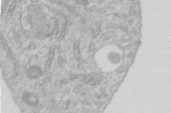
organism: Human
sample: Centriole in RPE cells